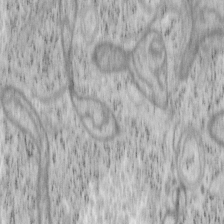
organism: Human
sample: HeLa cells